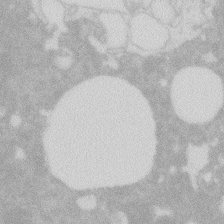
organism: Zebrafish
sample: Macrophage